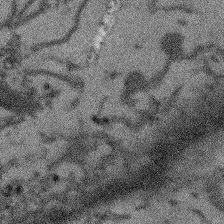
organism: Arabidopsis thaliana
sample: Root tip